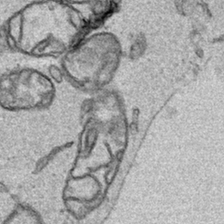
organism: Human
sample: Mitochondria in HCT116 cells